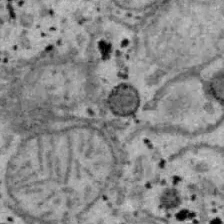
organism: Mouse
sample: Liver from an obese (ob/ob) mouse